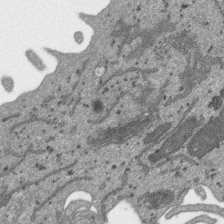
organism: Human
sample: Lung epithelial cells infected with SARS-CoV-2